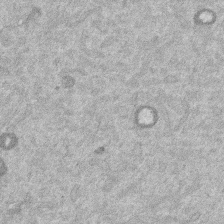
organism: Mouse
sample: Dividing mouse embryo 1 cell stage